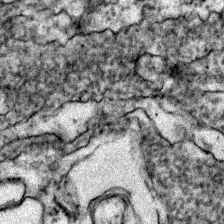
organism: Zebrafish